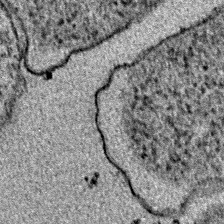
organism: E. coli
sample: E. Coli Bacteria